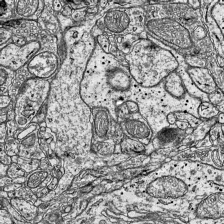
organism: Mouse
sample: Visual Cortex